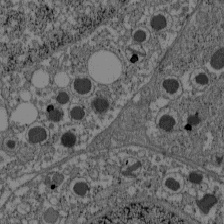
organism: C57BL Mouse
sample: Pancreatic islet